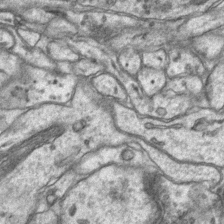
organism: Mouse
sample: CA1 Hippocampus